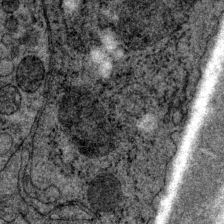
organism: P. pacificus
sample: Pharynx